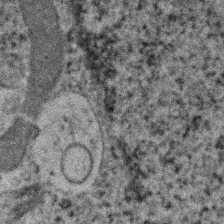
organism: Human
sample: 1205lu cells